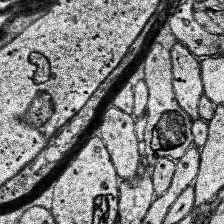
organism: Human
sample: Temporal Lobe